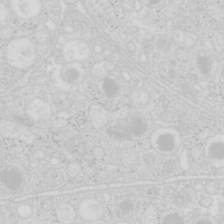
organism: Mouse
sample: Pancreas